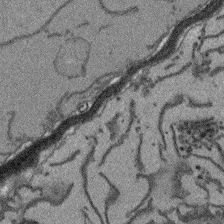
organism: Arabidopsis thaliana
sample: Root tip